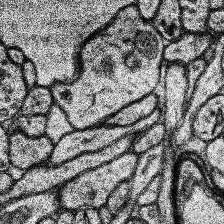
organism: Human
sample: Temporal Lobe